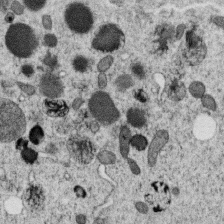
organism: C. elegans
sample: C. elegans oocyte; sperm cells